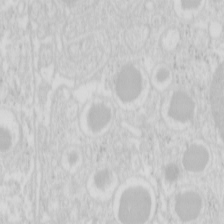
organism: Mouse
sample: Pancreas